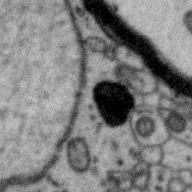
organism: Zebra finch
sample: Brain